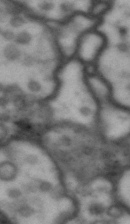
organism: Drosophila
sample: Brain